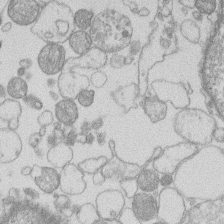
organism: Human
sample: Macrophage cells